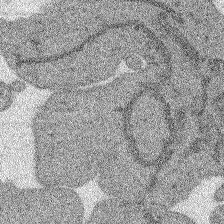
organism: Human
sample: HeLa cells